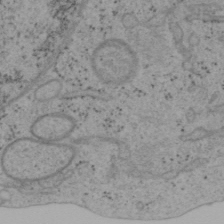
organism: Human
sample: HeLa cells